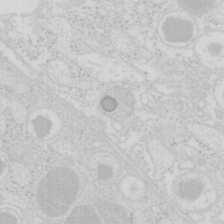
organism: Mouse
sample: Pancreas